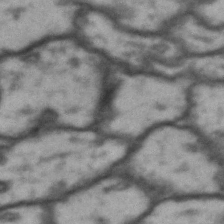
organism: Drosophila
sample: Brain